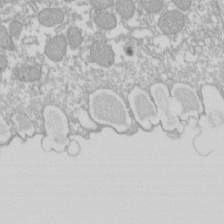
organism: Xenopus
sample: Cilia; centrioles in frog embryo cells